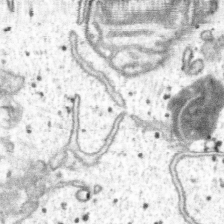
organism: Human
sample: HeLa cells